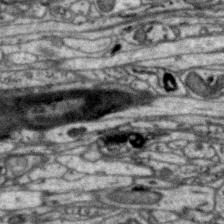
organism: Zebra finch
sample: Brain